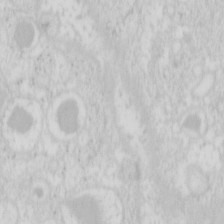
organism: Mouse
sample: Pancreas